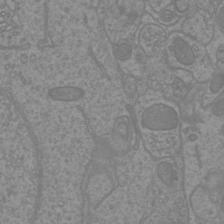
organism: Mouse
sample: Cortical neurons